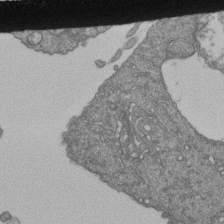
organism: Human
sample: Retinal organoid Rod and Cone cells